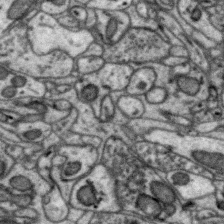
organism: Zebra finch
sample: Brain